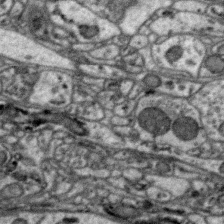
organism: Zebra finch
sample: Brain